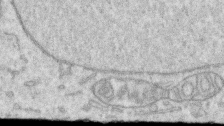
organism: Human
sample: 1205lu cells